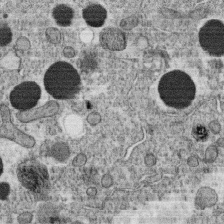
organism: C. elegans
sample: C. elegans oocyte; sperm cells